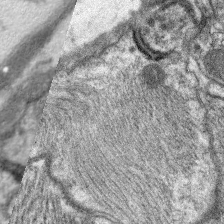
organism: C. elegans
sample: Pharynx